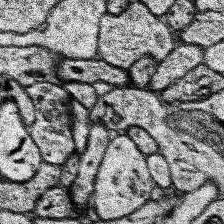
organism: Human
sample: Temporal Lobe